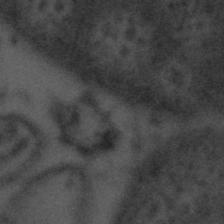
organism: Tuwongella immobilis